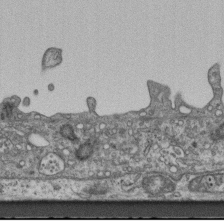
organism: Mouse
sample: Centriole in ependymal cells